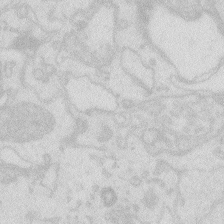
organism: Zebrafish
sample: Macrophage